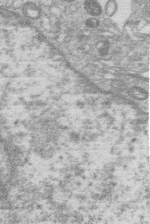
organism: Human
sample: Macrophage cells